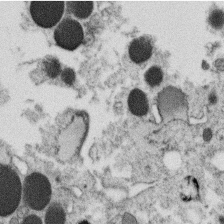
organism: C. elegans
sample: C. elegans oocyte; sperm cells